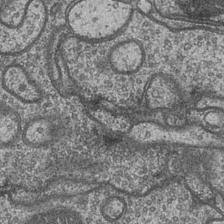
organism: Drosophila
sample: Optic medulla